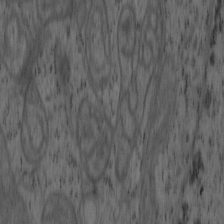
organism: Human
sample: HeLa cells